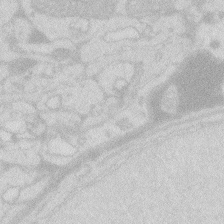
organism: Zebrafish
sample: Macrophage